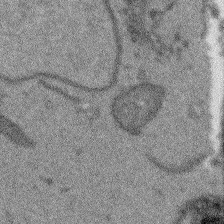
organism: Arabidopsis thaliana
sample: Root tip